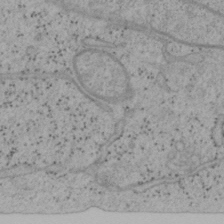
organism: Human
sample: HeLa cells